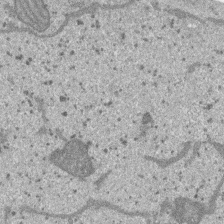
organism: Human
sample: Lung epithelial cells infected with SARS-CoV-2